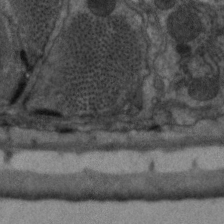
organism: C. elegans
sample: Pharynx